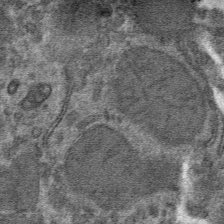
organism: Mouse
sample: Mouse hepatocytes